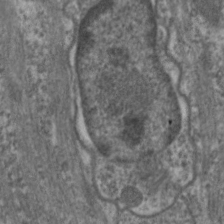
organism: C. elegans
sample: Pharynx